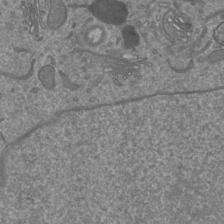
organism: Mouse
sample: Cortical neurons